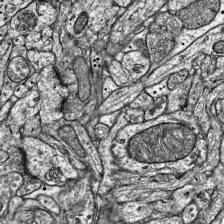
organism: Mouse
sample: Visual Cortex